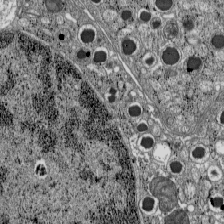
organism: C57BL Mouse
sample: Pancreatic islet